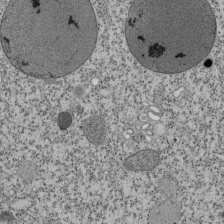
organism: Tetrahymena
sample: Cilia in tetrahymena